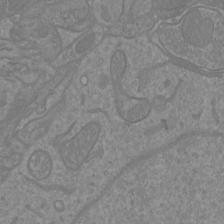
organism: Mouse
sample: Cortical neurons